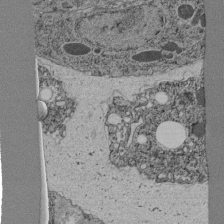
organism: C. elegans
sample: C. elegans pharynx